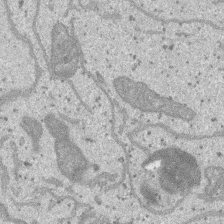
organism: Human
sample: Lung epithelial cells infected with SARS-CoV-2